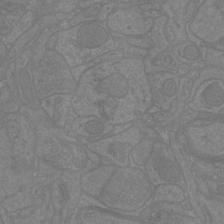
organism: Mouse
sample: Cortical neurons